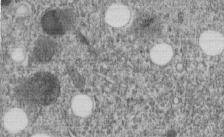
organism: C. elegans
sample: C. elegans embryo early stage